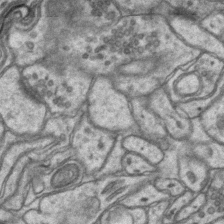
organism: Mouse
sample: CA1 Hippocampus